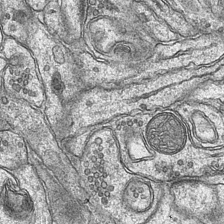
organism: Mouse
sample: CA1 Hippocampus